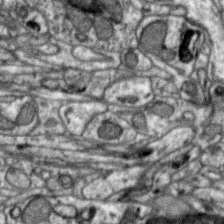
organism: Zebra finch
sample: Brain